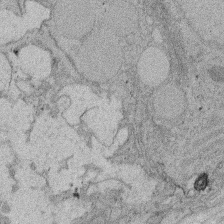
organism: Rat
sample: Salivary granule